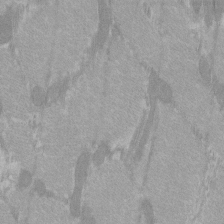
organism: C57BL Mouse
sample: Tibialis anterior muscle cell